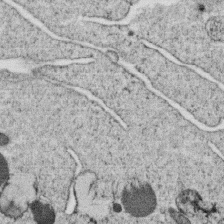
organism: C. elegans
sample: C. elegans oocyte; sperm cells